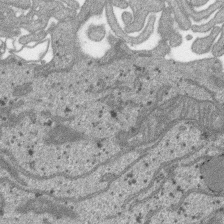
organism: Human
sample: Lung epithelial cells infected with SARS-CoV-2